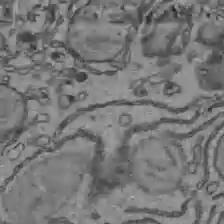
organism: C57BL Mouse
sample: Liver